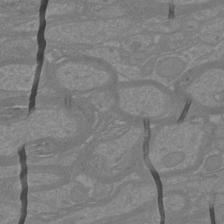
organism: Mouse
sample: Cortical neurons